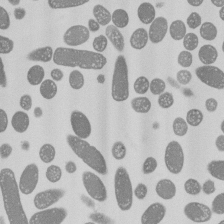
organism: E. coli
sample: Bacterial nucleoid